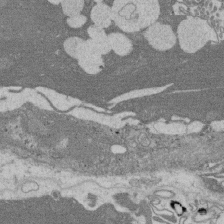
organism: Rat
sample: Salivary granule